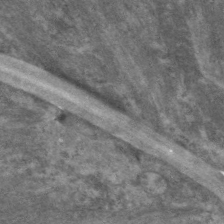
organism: C. elegans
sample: Pharynx